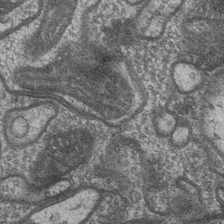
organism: Drosophila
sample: Optic medulla